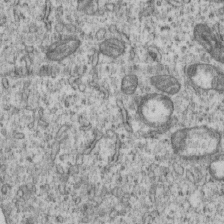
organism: Human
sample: MDA-MB-231 cells